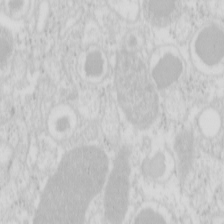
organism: Mouse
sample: Pancreas